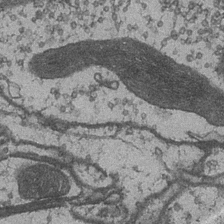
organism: Drosophila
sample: Optic medulla